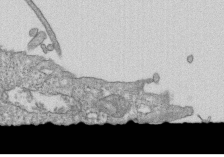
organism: Human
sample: HeLa cell HIV synapse